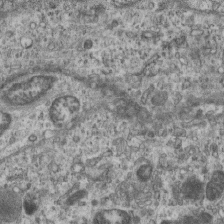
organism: Mouse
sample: Centriole in ependymal cells